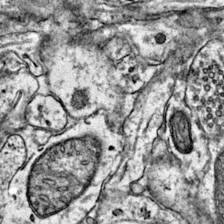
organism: Mouse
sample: Primary visual cortex